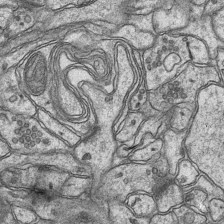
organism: Mouse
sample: CA1 Hippocampus